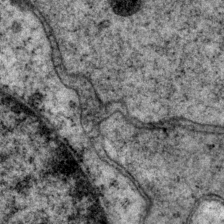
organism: P. pacificus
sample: Pharynx